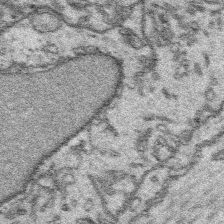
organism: Platynereis dumerilii